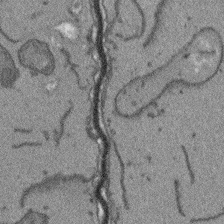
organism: Arabidopsis thaliana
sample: Root tip